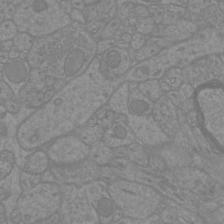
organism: Mouse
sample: Cortical neurons